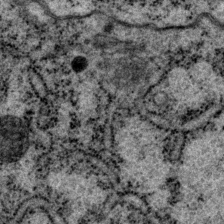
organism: P. pacificus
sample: Pharynx